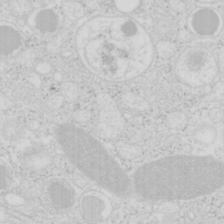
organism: Mouse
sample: Pancreas